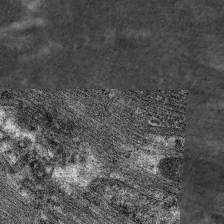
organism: C. elegans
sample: Pharynx